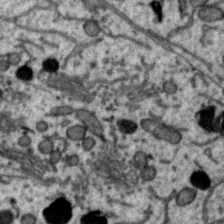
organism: Zebra finch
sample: Brain